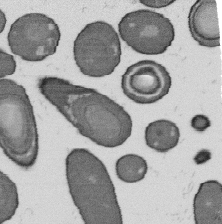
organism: B. subtilis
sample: Bacterial spore